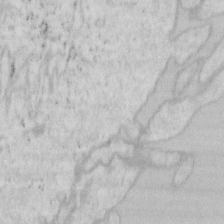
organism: Human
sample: HeLa cells